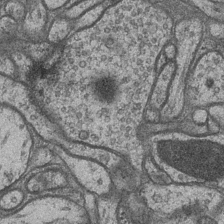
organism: Drosophila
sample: Optic medulla